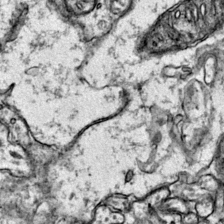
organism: Mouse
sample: Primary visual cortex